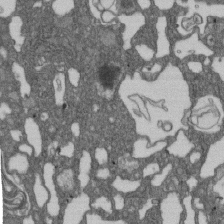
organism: Drosophila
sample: Nephrocyte